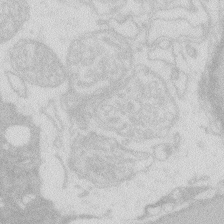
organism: Zebrafish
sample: Macrophage